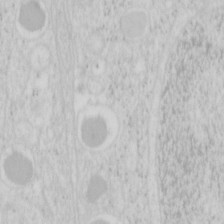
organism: Mouse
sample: Pancreas